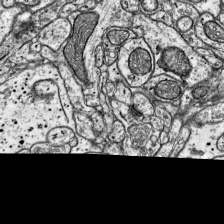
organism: Mouse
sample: Visual Cortex